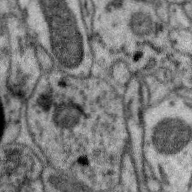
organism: Zebra finch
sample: Brain